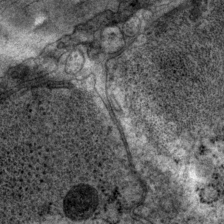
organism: P. pacificus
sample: Pharynx